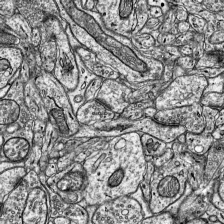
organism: Mouse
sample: Visual Cortex